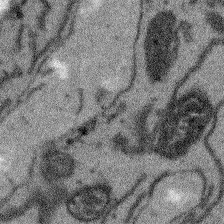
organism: Arabidopsis thaliana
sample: Root tip